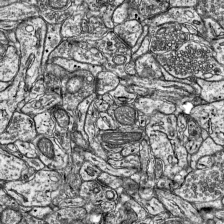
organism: Mouse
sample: Visual Cortex